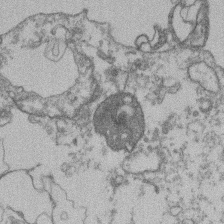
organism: Mouse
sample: T cell stromal cell synapse